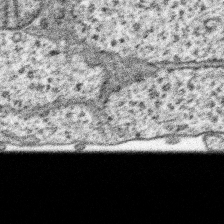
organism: Human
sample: HeLa cells